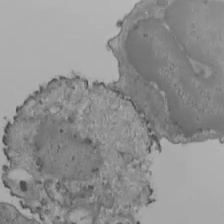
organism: Human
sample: Jurkat E6-1 and CD4 cells